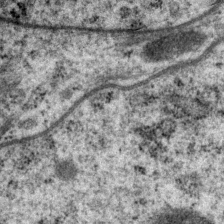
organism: P. pacificus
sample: Pharynx